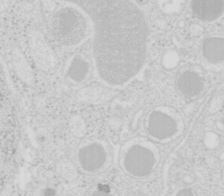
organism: Mouse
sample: Pancreas